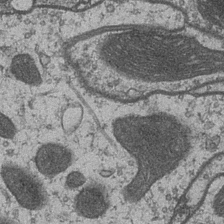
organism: Drosophila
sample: Optic medulla